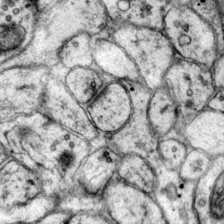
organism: Mouse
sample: Primary visual cortex